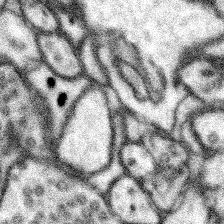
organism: Mouse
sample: Somatosensory cortex neuropil